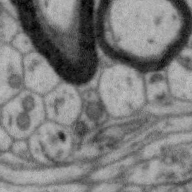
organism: Zebra finch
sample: Brain